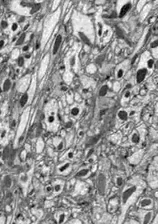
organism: Drosophila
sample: Optic lobe